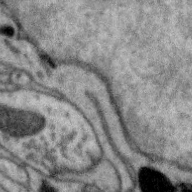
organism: Zebra finch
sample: Brain